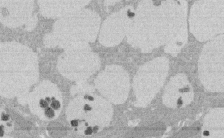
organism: Rat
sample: Salivary granule